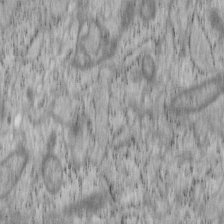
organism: Human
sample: HeLa cells